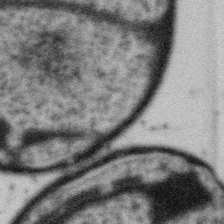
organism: Gemmata obscuriglobus